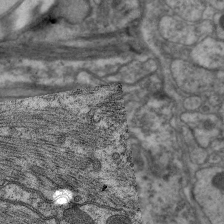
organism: C. elegans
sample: Pharynx